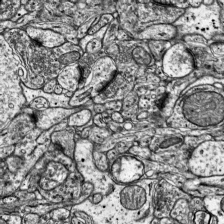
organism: Mouse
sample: Visual Cortex